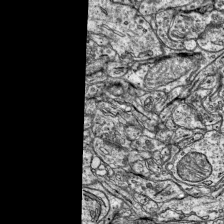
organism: Mouse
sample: Visual Cortex